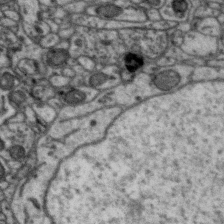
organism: Zebra finch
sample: Brain